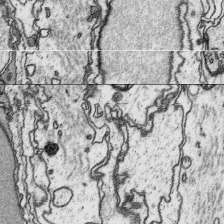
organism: Platynereis dumerilii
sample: Parapodia